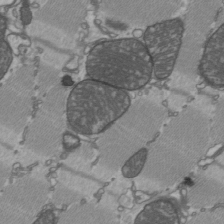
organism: C57BL Mouse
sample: Heart